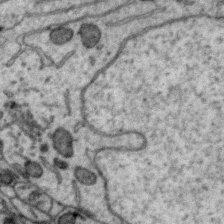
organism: Zebra finch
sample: Brain